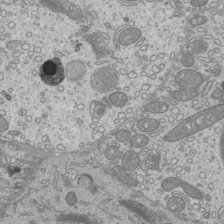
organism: Mouse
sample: Cilia; mouse epididymis